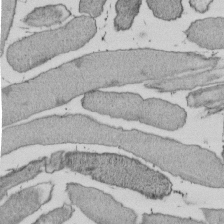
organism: E. coli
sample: Bacterial nucleoid